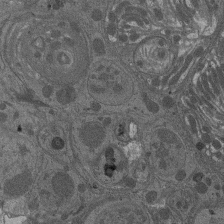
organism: Drosophila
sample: Antenna